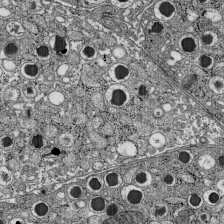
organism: C57BL Mouse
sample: Pancreatic islet